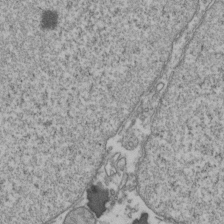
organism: Human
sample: Activated Jurkat CD4+ T cells